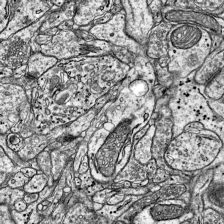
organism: Mouse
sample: Visual Cortex